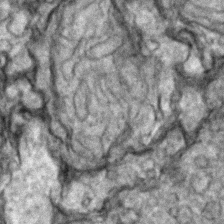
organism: Zebrafish